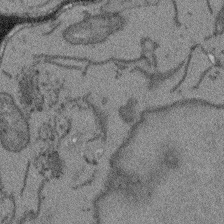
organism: Arabidopsis thaliana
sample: Root tip